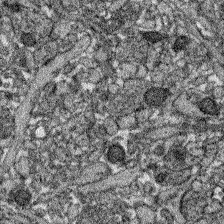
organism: Zebrafish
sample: Larval olfactory bulb